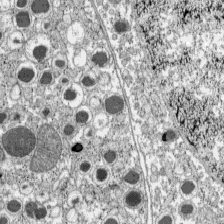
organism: C57BL Mouse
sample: Pancreatic islet